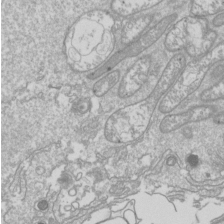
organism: Drosophila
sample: Cell division; meiosis; drosophila spermatocytes